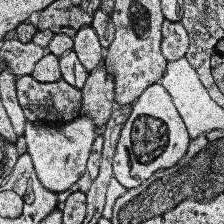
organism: Human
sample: Temporal Lobe